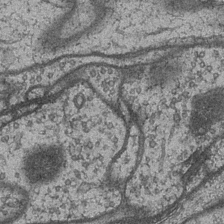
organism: Drosophila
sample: Optic medulla